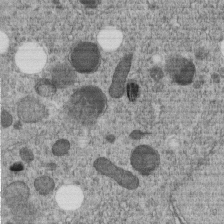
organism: C. elegans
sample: C. elegans embryo early stage